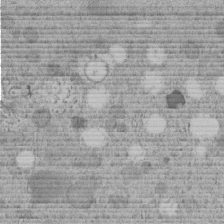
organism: C. elegans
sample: C. elegans embryo early stage